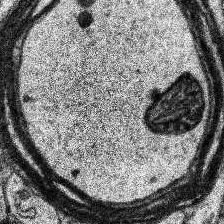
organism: Human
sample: Temporal Lobe